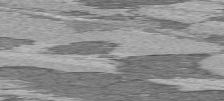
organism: C57BL Mouse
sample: Heart